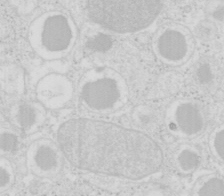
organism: Mouse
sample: Pancreas